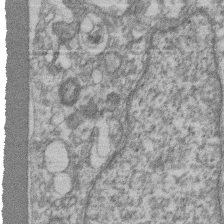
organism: Mouse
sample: T cell stromal cell synapse